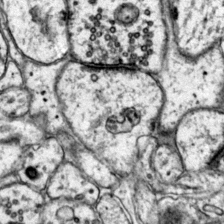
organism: Mouse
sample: Primary visual cortex